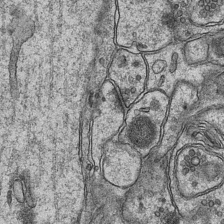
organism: Mouse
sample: CA1 Hippocampus